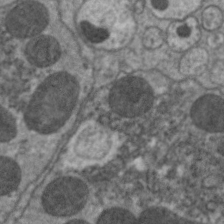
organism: C. elegans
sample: Pharynx